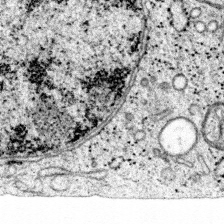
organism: Human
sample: HeLa cells